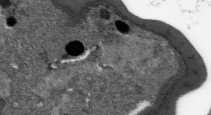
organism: Plasmodium falciparum